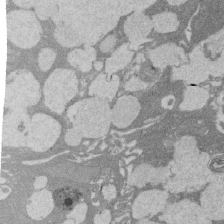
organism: Rat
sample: Salivary granule